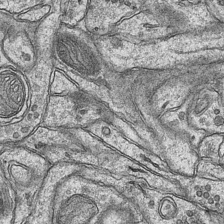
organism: Mouse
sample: CA1 Hippocampus